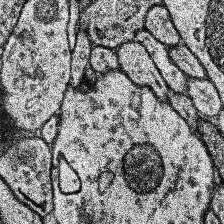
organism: Human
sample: Temporal Lobe